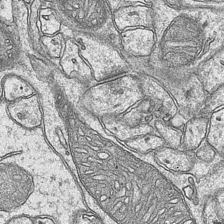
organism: Mouse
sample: CA1 Hippocampus